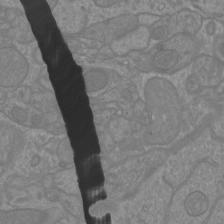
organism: Mouse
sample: Cortical neurons